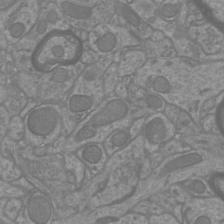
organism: Mouse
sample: Cortical neurons